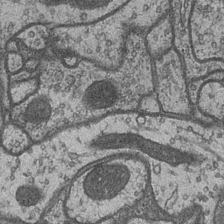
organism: Drosophila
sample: Optic medulla